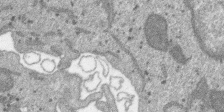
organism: Human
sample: Lung epithelial cells infected with SARS-CoV-2